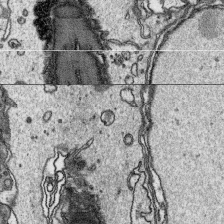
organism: Platynereis dumerilii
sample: Parapodia